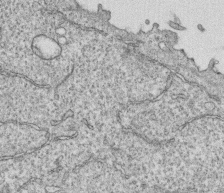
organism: Human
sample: HeLa cell HIV synapse